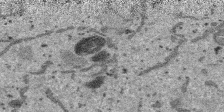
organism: Human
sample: Lung epithelial cells infected with SARS-CoV-2